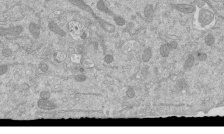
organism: Mouse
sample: ED-1 cell nuclei; centrioles